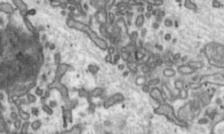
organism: Toxoplasma gondii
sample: Parasites in a vacuole inside a host cell